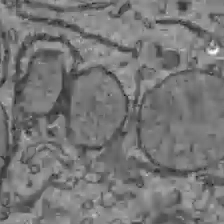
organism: C57BL Mouse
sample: Liver